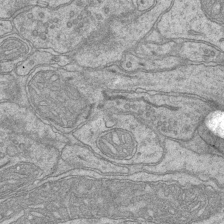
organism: Mouse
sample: CA1 Hippocampus